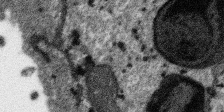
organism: Human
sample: Lung epithelial cells infected with SARS-CoV-2